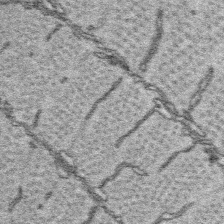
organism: Platynereis dumerilii